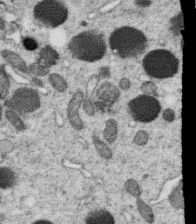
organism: C. elegans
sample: C. elegans oocyte; sperm cells